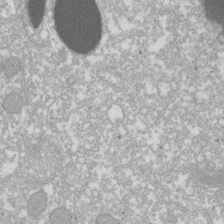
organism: Xenopus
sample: Cilia; centrioles in frog embryo cells